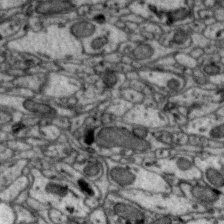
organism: Zebra finch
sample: Brain